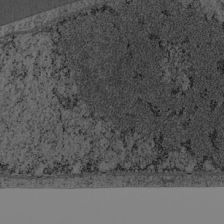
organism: African green monkey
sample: COS-7 cells